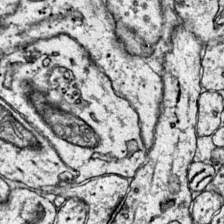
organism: Mouse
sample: Primary visual cortex